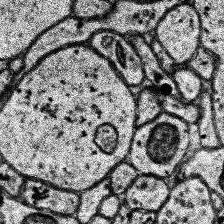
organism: Human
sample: Temporal Lobe